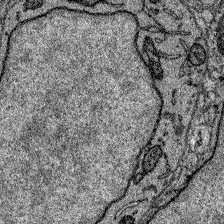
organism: Zebrafish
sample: Larval olfactory bulb